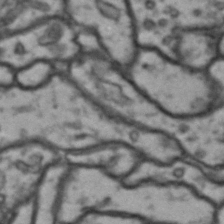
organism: Drosophila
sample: Brain